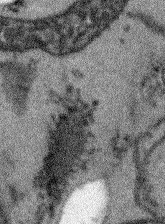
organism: Arabidopsis thaliana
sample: Root tip